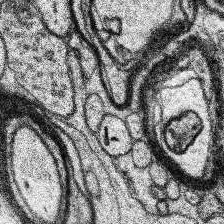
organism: Human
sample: Temporal Lobe